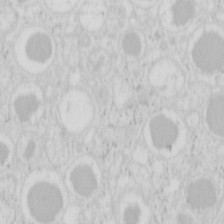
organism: Mouse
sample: Pancreas